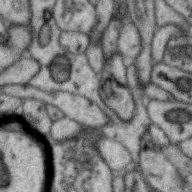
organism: Zebra finch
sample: Brain